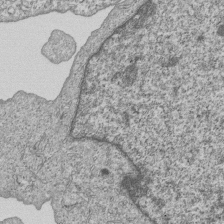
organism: Human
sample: MDA-MB-231 cells